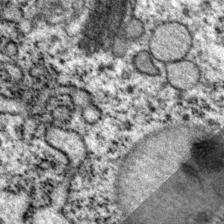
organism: P. pacificus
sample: Pharynx